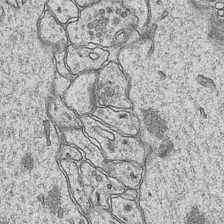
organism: Mouse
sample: CA1 Hippocampus